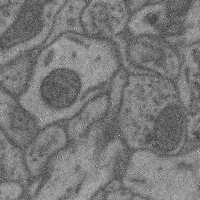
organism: Mouse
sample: Cerebral cortex